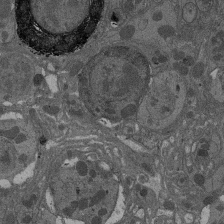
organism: Drosophila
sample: Antenna